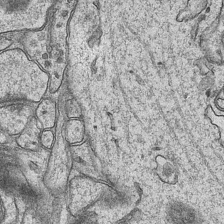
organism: Mouse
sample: CA1 Hippocampus